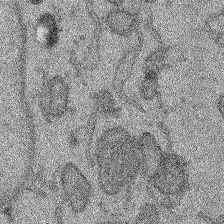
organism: Human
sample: HeLa cells